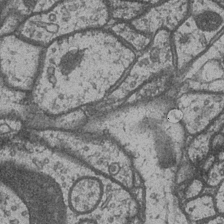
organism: Drosophila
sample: Optic medulla